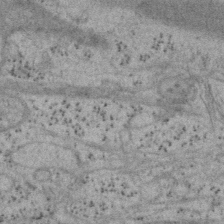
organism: Human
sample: HeLa cells